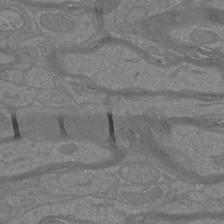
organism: Mouse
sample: Cortical neurons